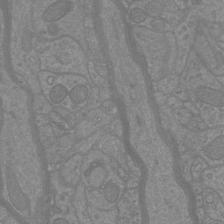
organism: Mouse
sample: Cortical neurons